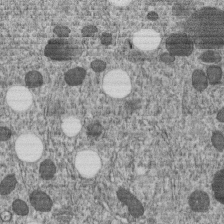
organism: C. elegans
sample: C. elegans embryo early stage